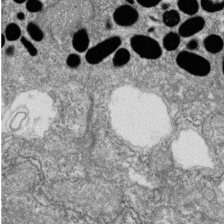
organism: Zebrafish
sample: Cilia; retinal pigment epithelium